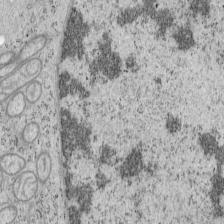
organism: Mouse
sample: OT-I killer T cells with ID8 ovarian cancer cells